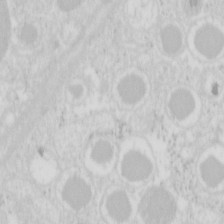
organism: Mouse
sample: Pancreas